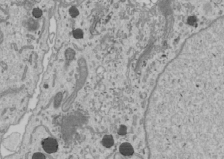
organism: Human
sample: Mitochondria in U2OS cells